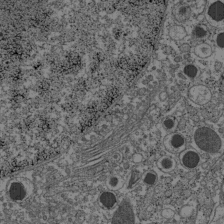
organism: C57BL Mouse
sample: Pancreatic islet